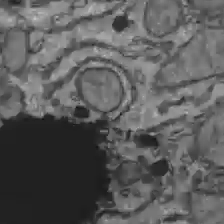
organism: C57BL Mouse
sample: Liver